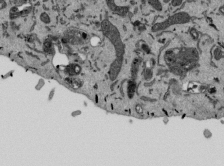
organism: Mouse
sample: ED-1 cell nuclei; centrioles